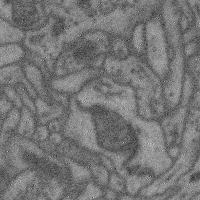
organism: Mouse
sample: Cerebral cortex